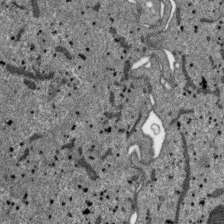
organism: Human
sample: Lung epithelial cells, uninfected (mock) control